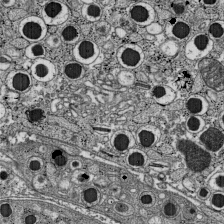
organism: C57BL Mouse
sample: Pancreatic islet